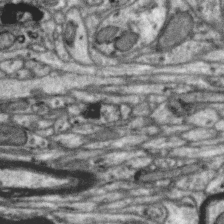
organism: Zebra finch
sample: Brain